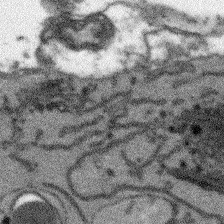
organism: Arabidopsis thaliana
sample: Root tip